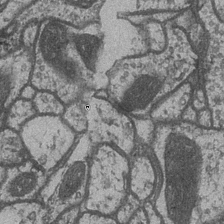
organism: Drosophila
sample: Optic medulla